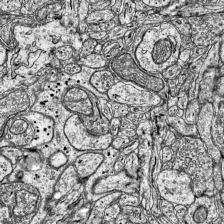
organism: Mouse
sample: Visual Cortex